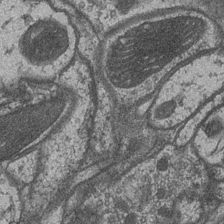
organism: Drosophila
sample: Optic medulla